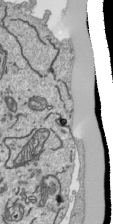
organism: Human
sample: Mitochondria in HCT116 cells